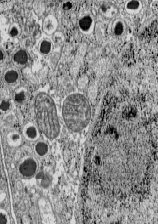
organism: C57BL Mouse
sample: Pancreatic islet